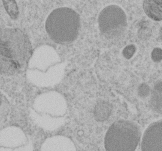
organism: C. elegans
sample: C. elegans embryo early stage